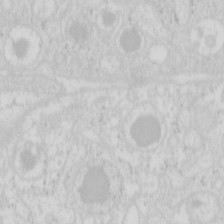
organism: Mouse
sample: Pancreas